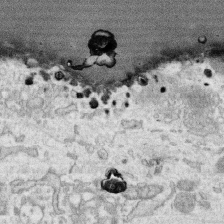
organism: Human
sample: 1205lu cells